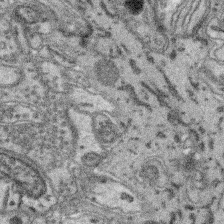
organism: Mouse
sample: Retina